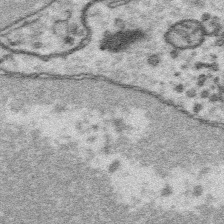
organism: Platynereis dumerilii